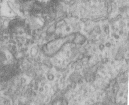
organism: Human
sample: Centriole in RPE cells